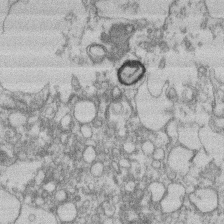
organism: Mouse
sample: T cell stromal cell synapse